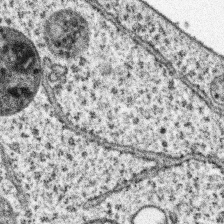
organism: Human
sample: HeLa cells